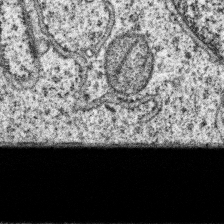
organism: Human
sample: HeLa cells